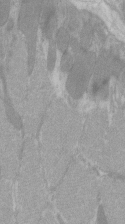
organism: C57BL Mouse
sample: Tibialis anterior muscle cell